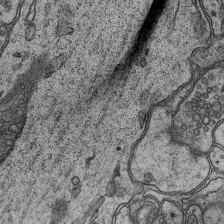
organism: Mouse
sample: CA1 Hippocampus